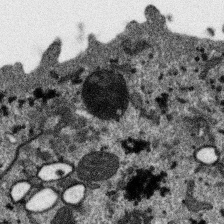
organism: Human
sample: Lung epithelial cells infected with SARS-CoV-2